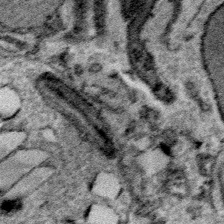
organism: Plasmodium falciparum